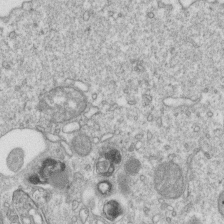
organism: Mouse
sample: Activated OT-1 CD8+ T cells